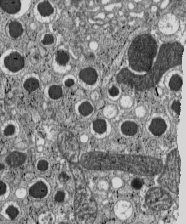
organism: C57BL Mouse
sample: Pancreatic islet